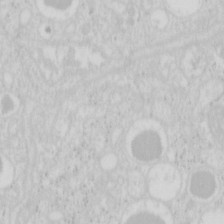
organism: Mouse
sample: Pancreas